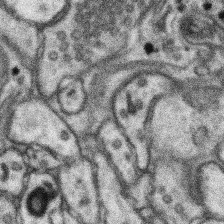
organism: Mouse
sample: Somatosensory cortex neuropil